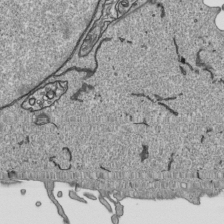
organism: Human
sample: Mitochondria in HCT116 cells